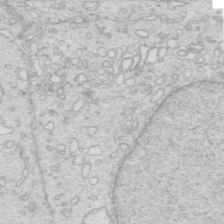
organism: Mouse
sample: Multiciliated cells